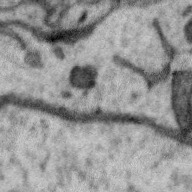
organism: Zebra finch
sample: Brain